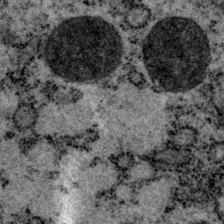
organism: P. pacificus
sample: Pharynx